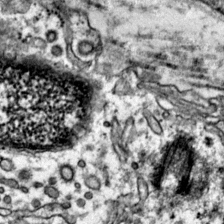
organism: Mouse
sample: Primary visual cortex